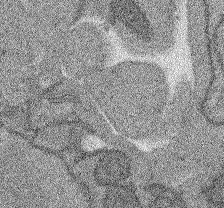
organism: Human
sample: HeLa cells